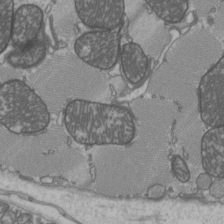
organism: C57BL Mouse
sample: Heart